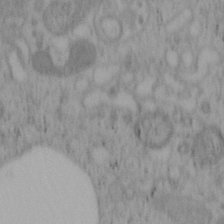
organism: Mouse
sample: OT-I killer T cells with ID8 ovarian cancer cells